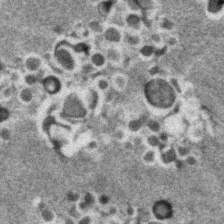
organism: Zebrafish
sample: Zebrafish embryo